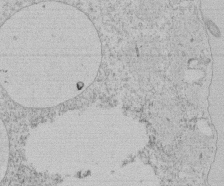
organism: Tetrahymena